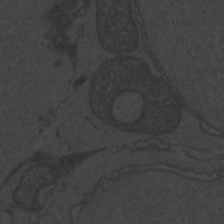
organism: Zebrafish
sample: Macrophage infected with Toxoplasma gondii